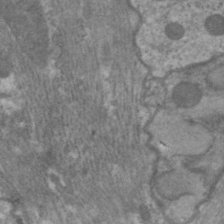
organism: C. elegans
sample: Pharynx